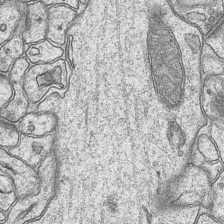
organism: Mouse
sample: CA1 Hippocampus